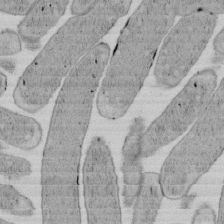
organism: E. coli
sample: Bacterial nucleoid